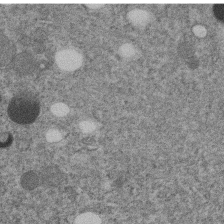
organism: C. elegans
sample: C. elegans embryo early stage